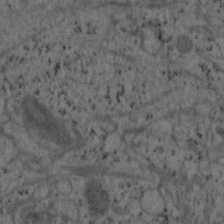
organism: Human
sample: HeLa cells